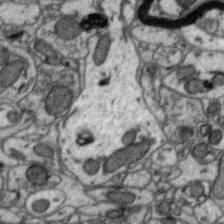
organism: Zebra finch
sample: Brain